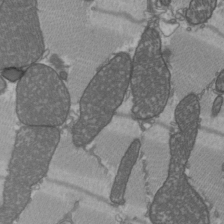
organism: C57BL Mouse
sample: Heart